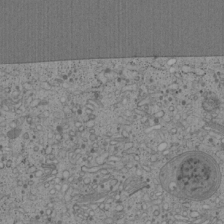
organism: African green monkey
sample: COS-7 cells